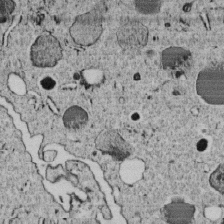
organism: C. elegans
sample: C. elegans embryo early stage